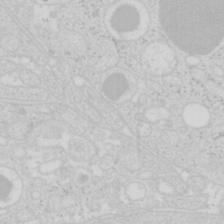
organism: Mouse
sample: Pancreas